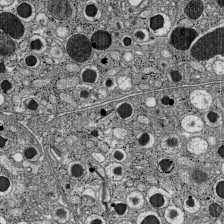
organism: C57BL Mouse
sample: Pancreatic islet